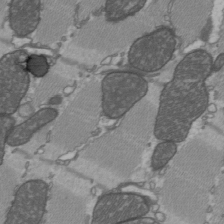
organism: C57BL Mouse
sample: Heart